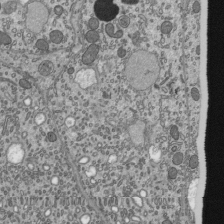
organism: Mouse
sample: Mouse epididymis efferent ductule cilia